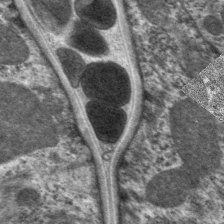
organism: C. elegans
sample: Pharynx